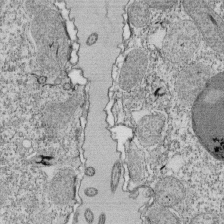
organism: Tetrahymena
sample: Cilia in tetrahymena